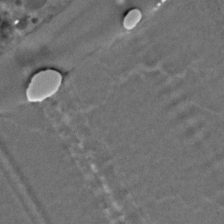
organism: C. elegans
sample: C. elegans embryo